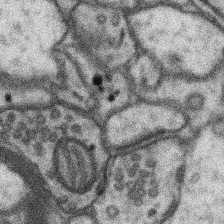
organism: Mouse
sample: Somatosensory cortex neuropil